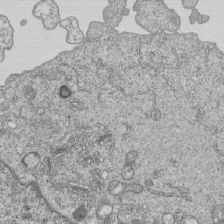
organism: Human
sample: MDA-MB-231 cells